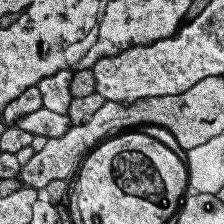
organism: Human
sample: Temporal Lobe